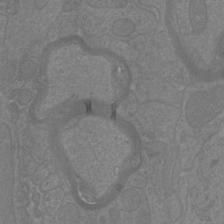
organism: Mouse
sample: Cortical neurons